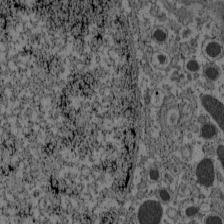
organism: C57BL Mouse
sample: Pancreatic islet